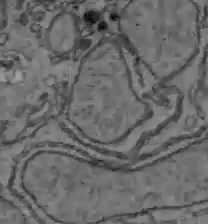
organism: C57BL Mouse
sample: Liver